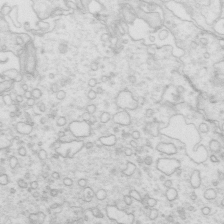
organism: Mouse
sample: Multiciliated cells